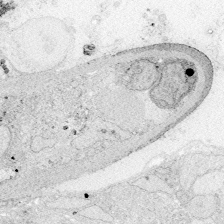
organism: Zebrafish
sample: Whole-Brain